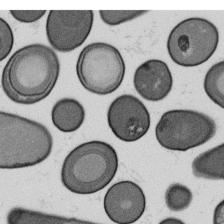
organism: B. subtilis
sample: Bacterial spore